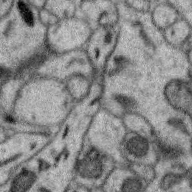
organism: Zebra finch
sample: Brain